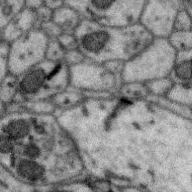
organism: Zebra finch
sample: Brain